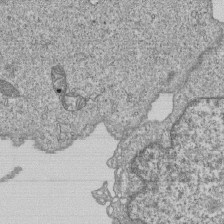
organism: Human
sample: MDA-MB-231 cells